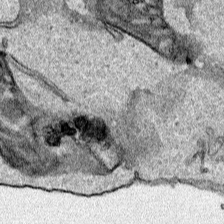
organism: Human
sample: Mitochondria in HCT116 cells